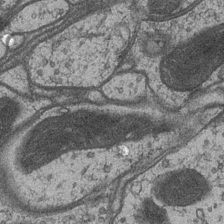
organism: Drosophila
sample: Optic medulla